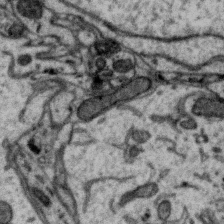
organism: Zebra finch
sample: Brain